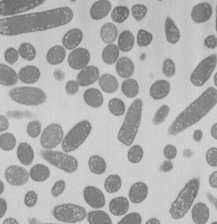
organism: E. coli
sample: Bacterial nucleoid